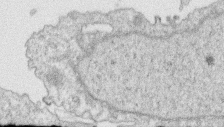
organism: Human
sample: HeLa cell HIV synapse